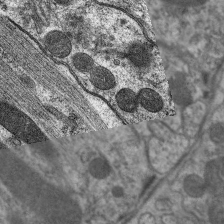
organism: C. elegans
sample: Pharynx